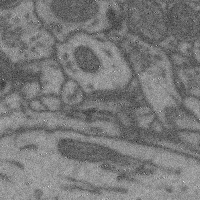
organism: Mouse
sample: Cerebral cortex